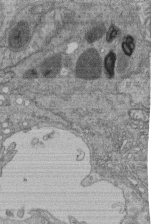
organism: Human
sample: Retinal organoid Rod and Cone cells